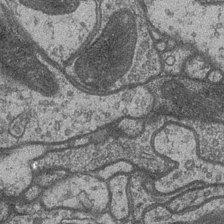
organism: Drosophila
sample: Optic medulla